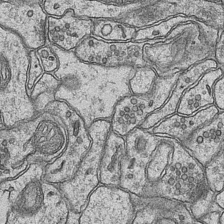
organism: Mouse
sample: CA1 Hippocampus